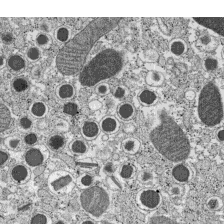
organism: C57BL Mouse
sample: Pancreatic islet